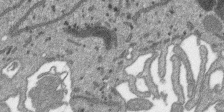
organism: Human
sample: Lung epithelial cells infected with SARS-CoV-2